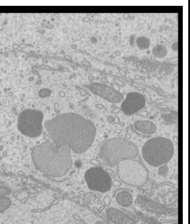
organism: Mouse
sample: Cilia; mouse epididymis